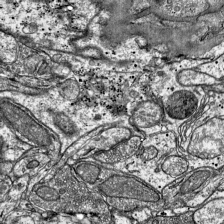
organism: Mouse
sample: Visual Cortex